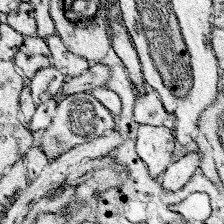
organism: Mouse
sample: Somatosensory cortex neuropil